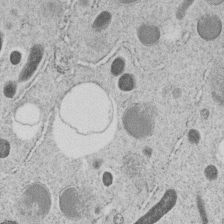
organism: C. elegans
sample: C. elegans embryo early stage